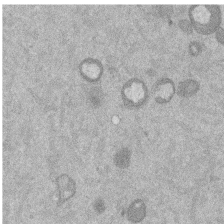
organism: Mouse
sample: Dividing mouse embryo 1 cell stage